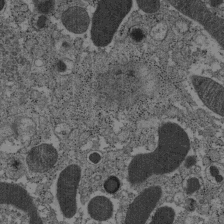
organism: C57BL Mouse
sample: Pancreatic islet